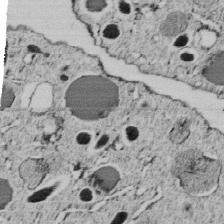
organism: C. elegans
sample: C. elegans embryo early stage